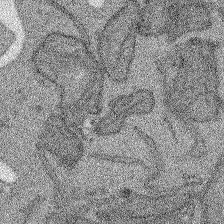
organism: Human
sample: HeLa cells